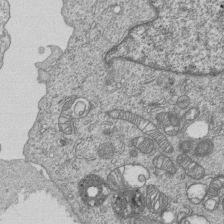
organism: Human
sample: MDA-MB-231 cells